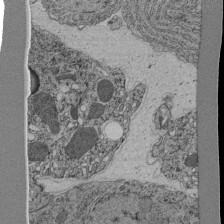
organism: C. elegans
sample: C. elegans pharynx